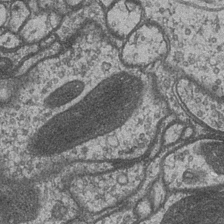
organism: Drosophila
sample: Optic medulla